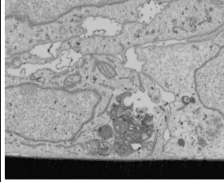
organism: Human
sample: Mitochondria in U2OS cells